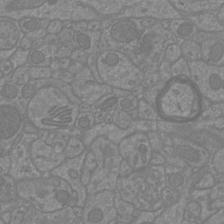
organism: Mouse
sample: Cortical neurons